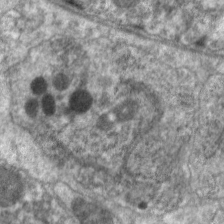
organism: C. elegans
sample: Pharynx